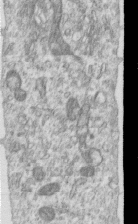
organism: Human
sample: Centriole in RPE cells